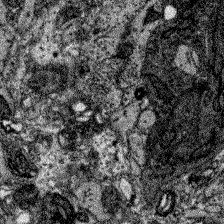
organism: Zebrafish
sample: Larval olfactory bulb